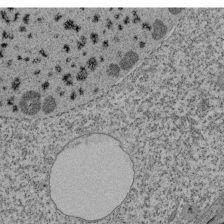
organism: Tetrahymena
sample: Cilia in tetrahymena